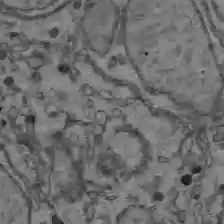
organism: C57BL Mouse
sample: Liver